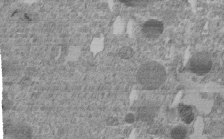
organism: C. elegans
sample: C. elegans embryo early stage